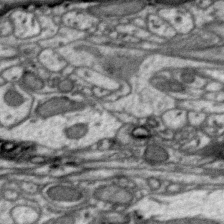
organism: Zebra finch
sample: Brain